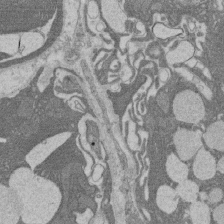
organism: Rat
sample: Salivary granule